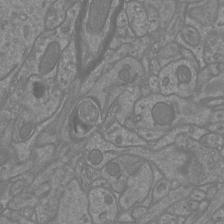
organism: Mouse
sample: Cortical neurons